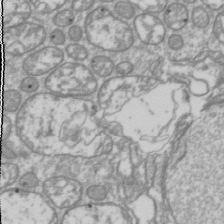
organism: Drosophila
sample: Cell division; meiosis; drosophila spermatocytes